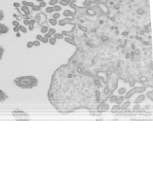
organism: Mouse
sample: Mouse epididymis efferent ductule cilia